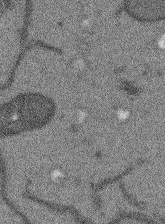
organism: Arabidopsis thaliana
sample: Root tip